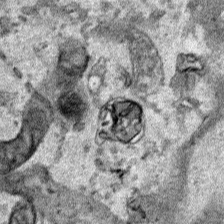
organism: Human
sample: Mitochondria in HCT116 cells